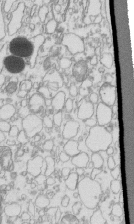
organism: Mouse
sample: Macrophages